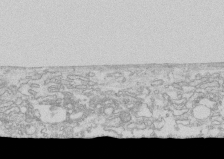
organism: Human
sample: CRL-1474